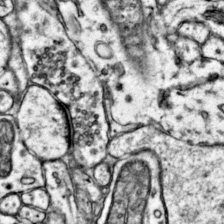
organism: Mouse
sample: Primary visual cortex